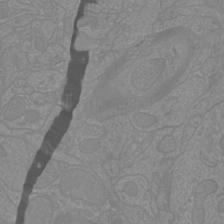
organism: Mouse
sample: Cortical neurons